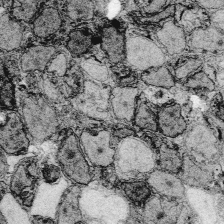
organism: Zebrafish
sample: Whole-Brain